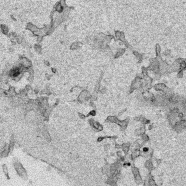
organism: Human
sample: Mitochondria in HCT116 cells